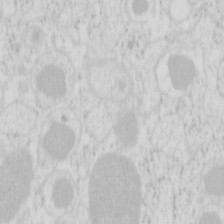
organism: Mouse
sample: Pancreas